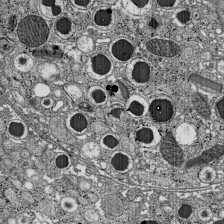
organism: C57BL Mouse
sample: Pancreatic islet